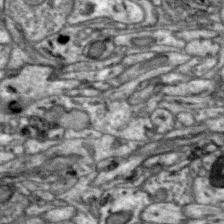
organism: Zebra finch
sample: Brain